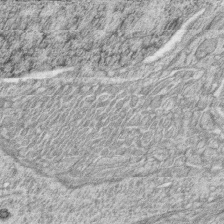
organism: Zebrafish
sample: synaptic ribbons in rod cells and cone cells